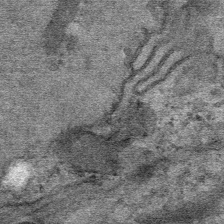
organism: Mouse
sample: Mouse Salivary gland